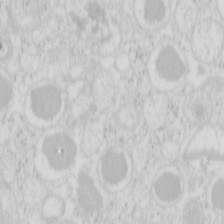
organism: Mouse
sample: Pancreas